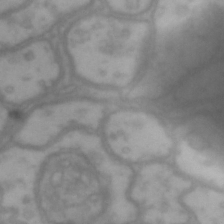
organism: Drosophila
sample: Brain